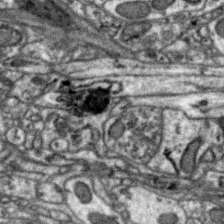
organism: Zebra finch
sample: Brain